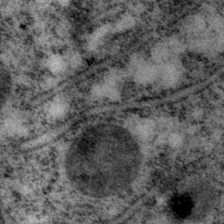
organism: P. pacificus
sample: Pharynx